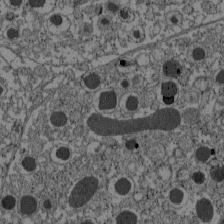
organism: C57BL Mouse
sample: Pancreatic islet